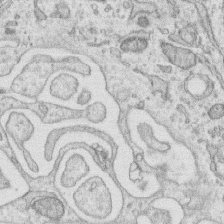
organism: Human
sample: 1205lu cells